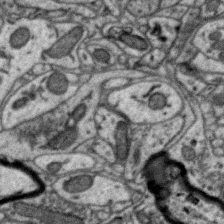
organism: Zebra finch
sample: Brain